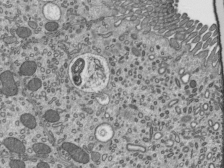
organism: Mouse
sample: Mouse epididymis efferent ductule cilia